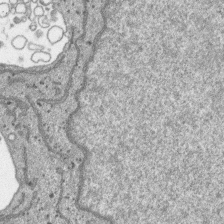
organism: Human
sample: Lung epithelial cells infected with SARS-CoV-2